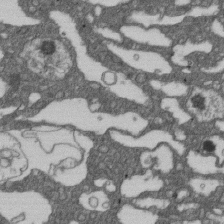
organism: Drosophila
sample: Nephrocyte